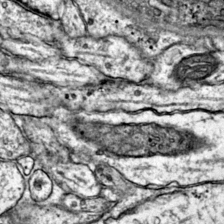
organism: Mouse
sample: Primary visual cortex